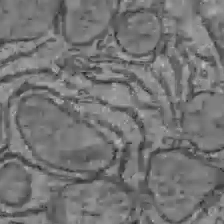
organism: C57BL Mouse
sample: Liver